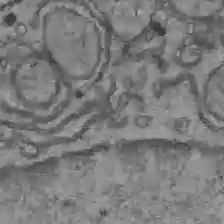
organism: C57BL Mouse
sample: Liver